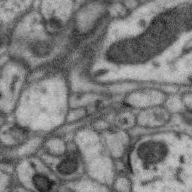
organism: Zebra finch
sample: Brain